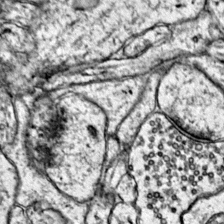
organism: Mouse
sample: Primary visual cortex